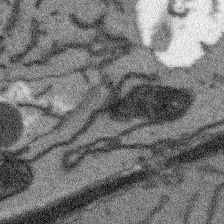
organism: Arabidopsis thaliana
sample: Root tip